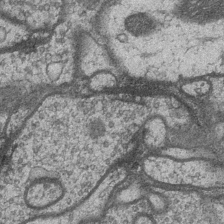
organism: Drosophila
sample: Optic medulla